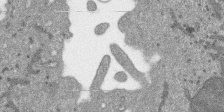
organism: Human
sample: Lung epithelial cells infected with SARS-CoV-2